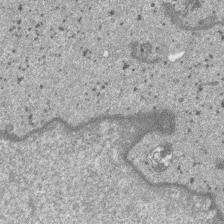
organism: Human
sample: Lung epithelial cells infected with SARS-CoV-2